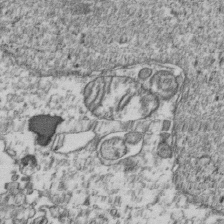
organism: Human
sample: Activated Jurkat CD4+ T cells